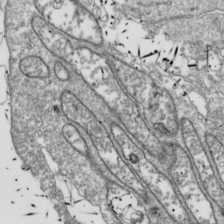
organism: Drosophila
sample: Cell division; meiosis; drosophila spermatocytes